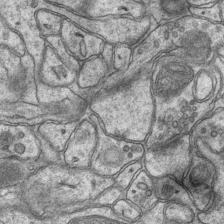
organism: Mouse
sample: CA1 Hippocampus